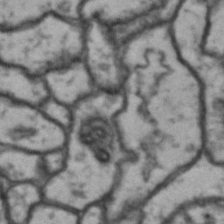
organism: Drosophila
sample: Brain